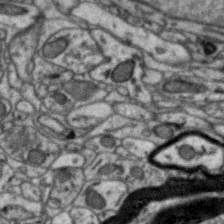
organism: Zebra finch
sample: Brain